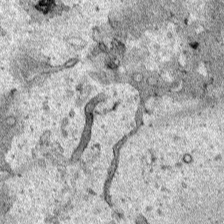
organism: Human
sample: Mitochondria in HCT116 cells